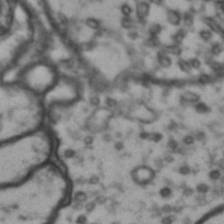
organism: Drosophila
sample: Brain